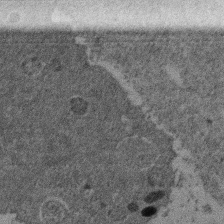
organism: Mouse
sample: Dividing mouse embryo 1 cell stage